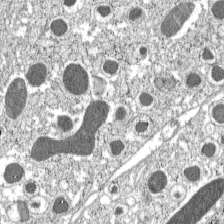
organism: C57BL Mouse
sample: Pancreatic islet